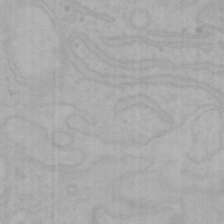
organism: Mouse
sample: Choroid plexus